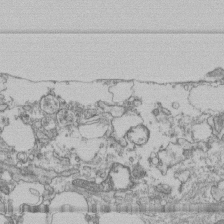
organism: Human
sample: Fibroblast cells